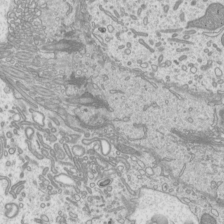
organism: Mouse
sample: Cilia; mouse epididymis